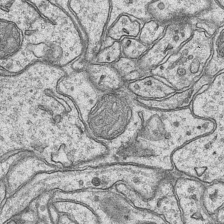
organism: Mouse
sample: CA1 Hippocampus